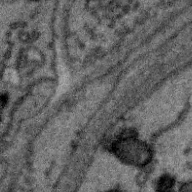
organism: Zebra finch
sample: Brain